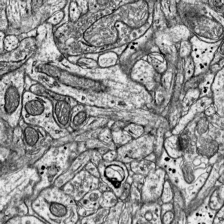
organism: Mouse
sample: Visual Cortex